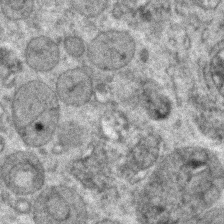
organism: Zebrafish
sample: Zebrafish embryo